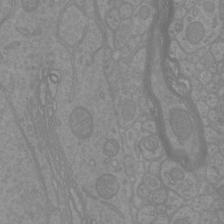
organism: Mouse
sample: Cortical neurons